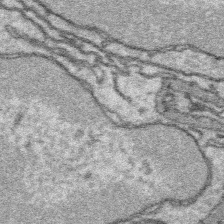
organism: Platynereis dumerilii